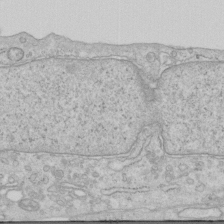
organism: Human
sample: Centriole in RPE cells